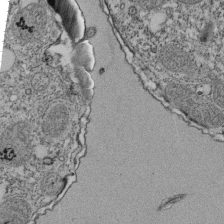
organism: Tetrahymena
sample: Cilia in tetrahymena